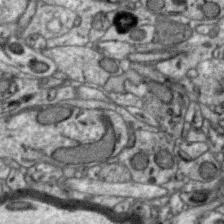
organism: Zebra finch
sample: Brain